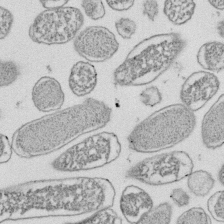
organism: E. coli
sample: Bacterial nucleoid